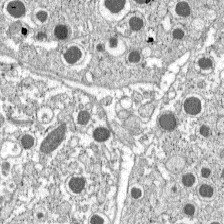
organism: C57BL Mouse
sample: Pancreatic islet